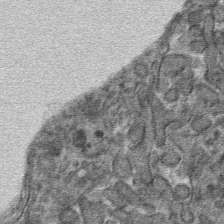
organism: Mouse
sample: Mouse hepatocytes